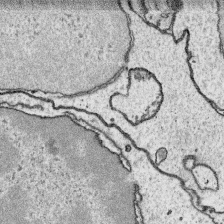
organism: Platynereis dumerilii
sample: Parapodia